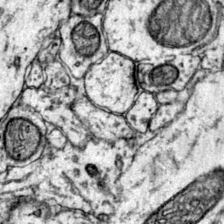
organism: Mouse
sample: Primary visual cortex